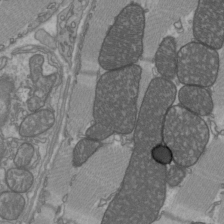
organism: C57BL Mouse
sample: Heart